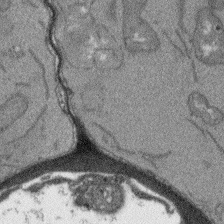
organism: Arabidopsis thaliana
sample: Root tip